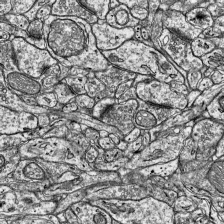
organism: Mouse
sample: Visual Cortex